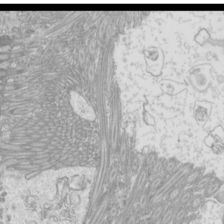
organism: Mouse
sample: Cilia; mouse epididymis